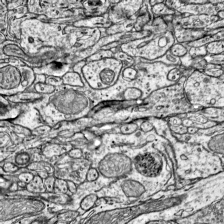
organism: Mouse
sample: Visual Cortex